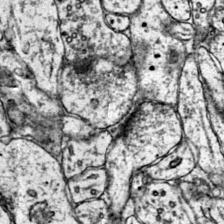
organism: Mouse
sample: Primary visual cortex